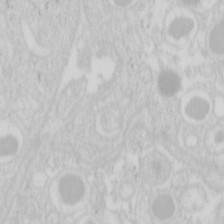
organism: Mouse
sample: Pancreas